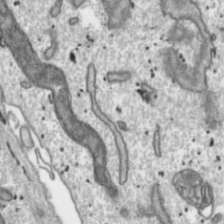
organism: Toxoplasma gondii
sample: Parasites in a vacuole inside a host cell